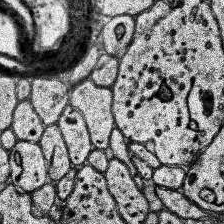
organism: Human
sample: Temporal Lobe